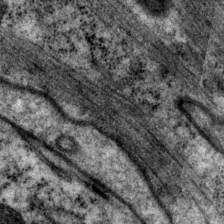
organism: P. pacificus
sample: Pharynx